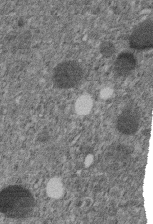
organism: C. elegans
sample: C. elegans embryo early stage